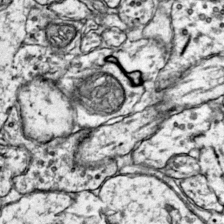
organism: Mouse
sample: Primary visual cortex